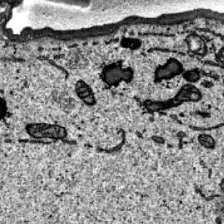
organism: Human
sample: HeLa cells